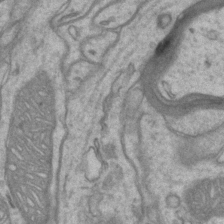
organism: Mouse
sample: CA1 Hippocampus